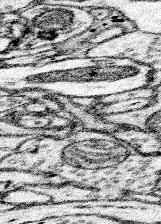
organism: Mouse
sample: Somatosensory cortex neuropil